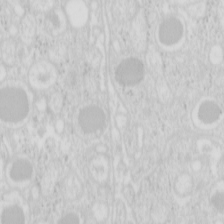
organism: Mouse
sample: Pancreas